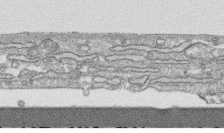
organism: Human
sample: CRL-1474